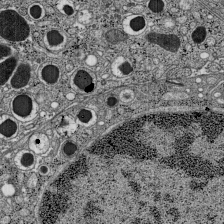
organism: C57BL Mouse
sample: Pancreatic islet